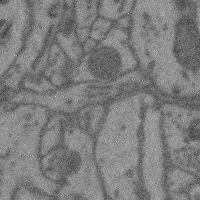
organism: Mouse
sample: Cerebral cortex